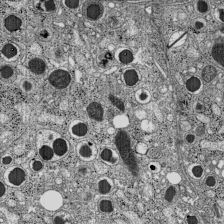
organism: C57BL Mouse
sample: Pancreatic islet